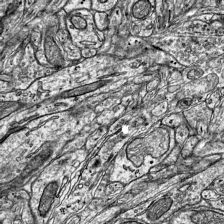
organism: Mouse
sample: Visual Cortex